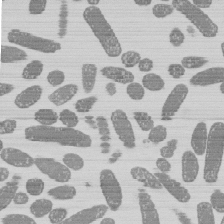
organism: E. coli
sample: Bacterial nucleoid